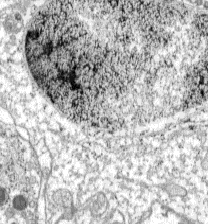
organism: C57BL Mouse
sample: Pancreatic islet